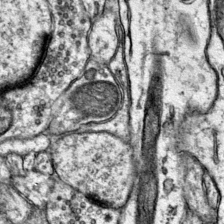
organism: Mouse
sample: Primary visual cortex